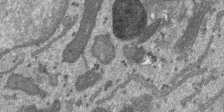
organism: Human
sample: Lung epithelial cells infected with SARS-CoV-2